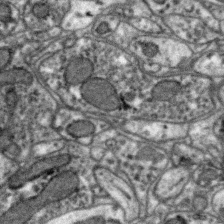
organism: Zebra finch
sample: Brain